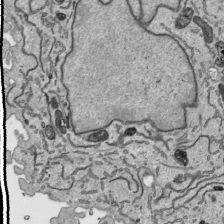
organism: Human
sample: Mitochondria in HCT116 cells